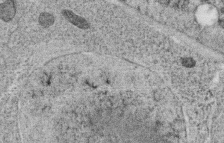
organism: C. elegans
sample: C. elegans oocyte; sperm cells